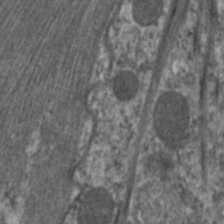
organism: C. elegans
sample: Pharynx